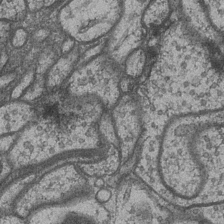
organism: Drosophila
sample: Optic medulla